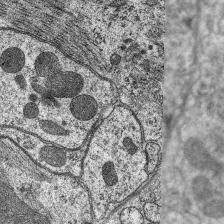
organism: C. elegans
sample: Pharynx